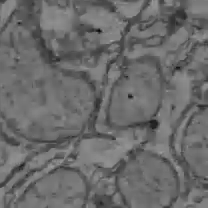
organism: C57BL Mouse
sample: Liver